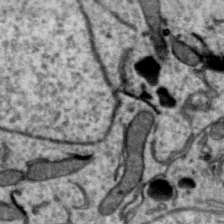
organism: Zebra finch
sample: Brain